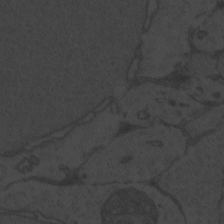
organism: Zebrafish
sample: Macrophage infected with Toxoplasma gondii